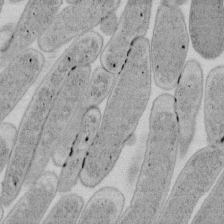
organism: E. coli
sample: Bacterial nucleoid